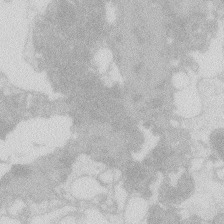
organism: Zebrafish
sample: Macrophage